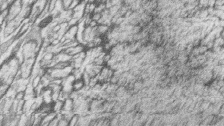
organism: Zebrafish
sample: synaptic ribbons in rod cells and cone cells